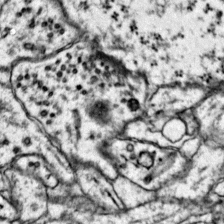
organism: Mouse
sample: Primary visual cortex